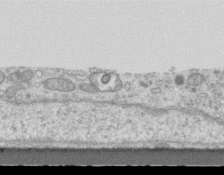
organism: Mouse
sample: Centriole in ependymal cells